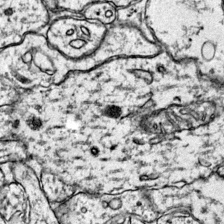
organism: Mouse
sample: Primary visual cortex